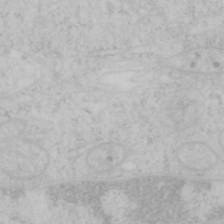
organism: Mouse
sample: OT-I killer T cells with ID8 ovarian cancer cells